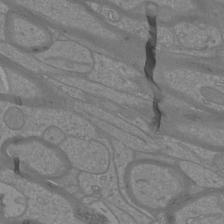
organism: Mouse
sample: Cortical neurons